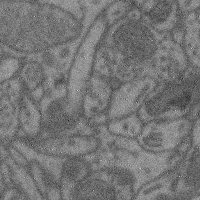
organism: Mouse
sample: Cerebral cortex